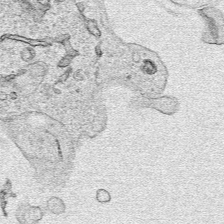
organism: Human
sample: Mitochondria in HCT116 cells